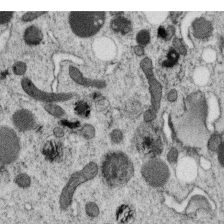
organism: C. elegans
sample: C. elegans oocyte; sperm cells